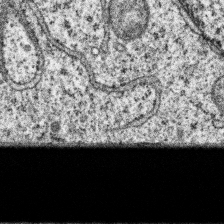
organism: Human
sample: HeLa cells